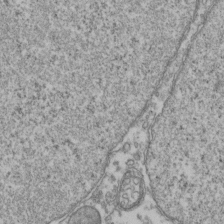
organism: Human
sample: Activated Jurkat CD4+ T cells